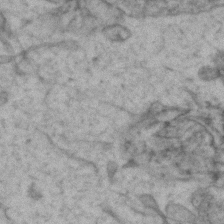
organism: Zebrafish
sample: Zebrafish embryo